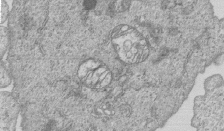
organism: Human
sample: MDA-MB-231 cells